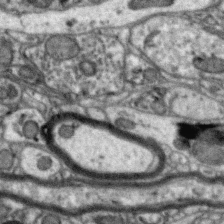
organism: Zebra finch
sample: Brain